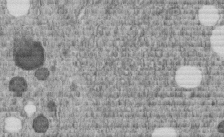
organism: C. elegans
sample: C. elegans embryo early stage